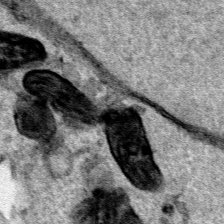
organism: Human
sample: Mitochondria in HCT116 cells